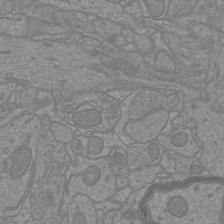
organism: Mouse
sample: Cortical neurons